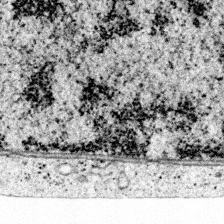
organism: Human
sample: HeLa cells